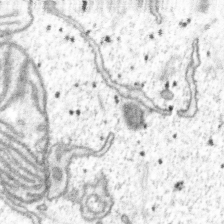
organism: Human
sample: HeLa cells